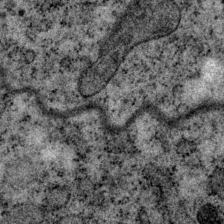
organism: P. pacificus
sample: Pharynx